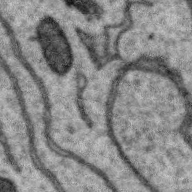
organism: Zebra finch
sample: Brain